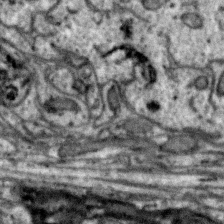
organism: Zebra finch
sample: Brain